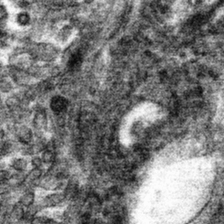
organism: Mouse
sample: Mouse hepatocytes